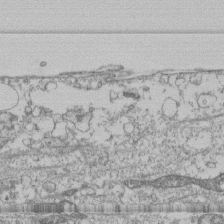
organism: Human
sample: Fibroblast cells